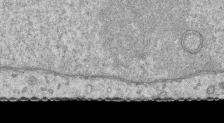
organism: Human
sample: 1205lu cells